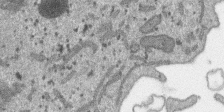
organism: Human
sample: Lung epithelial cells infected with SARS-CoV-2